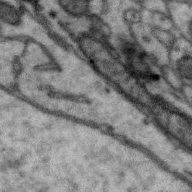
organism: Zebra finch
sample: Brain